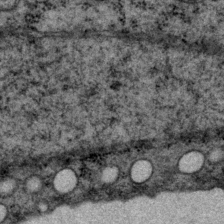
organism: P. pacificus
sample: Pharynx